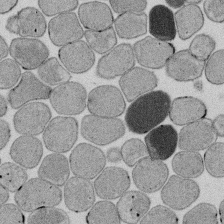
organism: E. coli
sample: Bacterial nucleoid